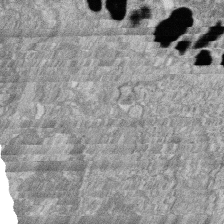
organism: Zebrafish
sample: Cilia; retinal pigment epithelium